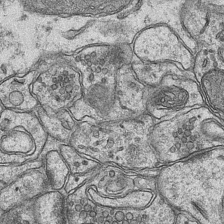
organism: Mouse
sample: CA1 Hippocampus